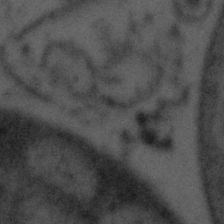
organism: Tuwongella immobilis